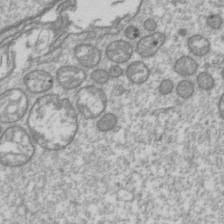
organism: Drosophila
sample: Cell division; meiosis; drosophila spermatocytes